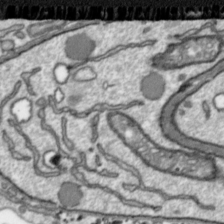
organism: Toxoplasma gondii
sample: Parasites in a vacuole inside a host cell